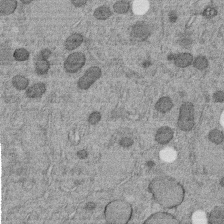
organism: C. elegans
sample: C. elegans embryo early stage